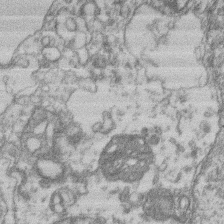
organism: Mouse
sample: T cell stromal cell synapse